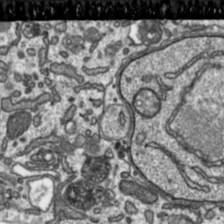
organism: Toxoplasma gondii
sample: Parasites in a vacuole inside a host cell